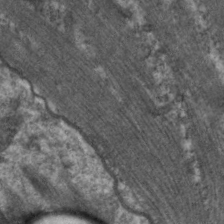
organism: C. elegans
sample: Pharynx